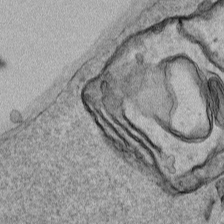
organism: Human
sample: Mitochondria in HCT116 cells